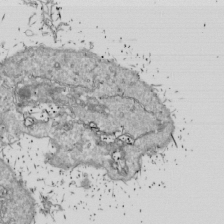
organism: Drosophila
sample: Cell division; meiosis; drosophila spermatocytes